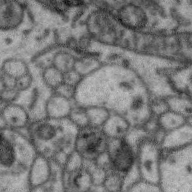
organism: Zebra finch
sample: Brain